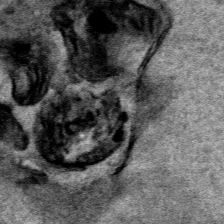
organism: Human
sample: Mitochondria in HCT116 cells